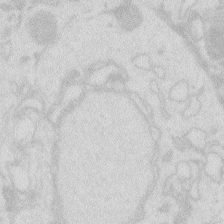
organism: Zebrafish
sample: Macrophage